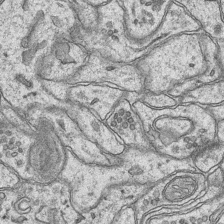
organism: Mouse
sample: CA1 Hippocampus